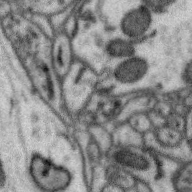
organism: Zebra finch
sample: Brain